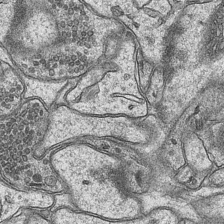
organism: Mouse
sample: CA1 Hippocampus